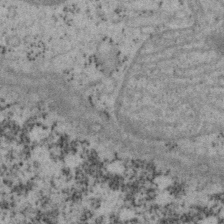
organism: Human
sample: HeLa cells